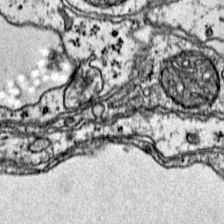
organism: Mouse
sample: Primary visual cortex